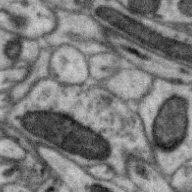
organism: Zebra finch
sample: Brain